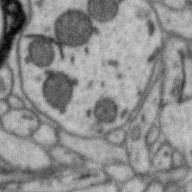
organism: Zebra finch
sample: Brain